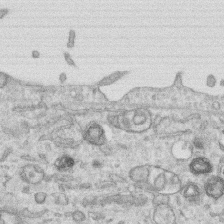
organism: Human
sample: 1205lu cells